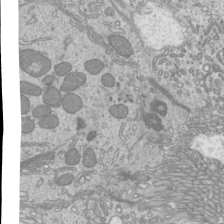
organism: Mouse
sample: Cilia; mouse epididymis